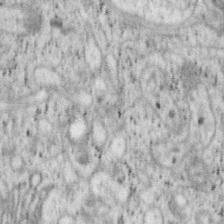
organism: Mouse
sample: OT-I killer T cells with ID8 ovarian cancer cells